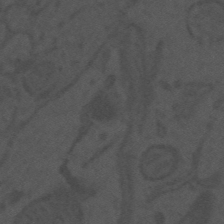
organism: Mouse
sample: Suprachiasmatic nucleus